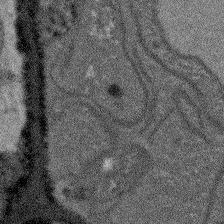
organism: Arabidopsis thaliana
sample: Root tip